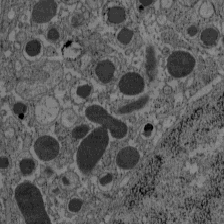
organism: C57BL Mouse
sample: Pancreatic islet